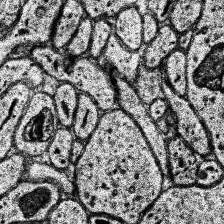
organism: Human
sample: Temporal Lobe